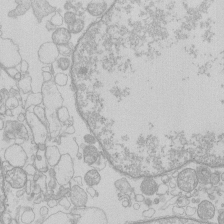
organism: Human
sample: Macrophage cells